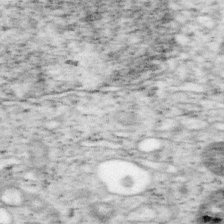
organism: Mouse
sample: OT-I killer T cells with ID8 ovarian cancer cells